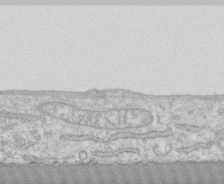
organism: Human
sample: CRL-1474